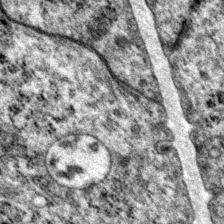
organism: P. pacificus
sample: Pharynx